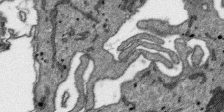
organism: Human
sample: Lung epithelial cells, uninfected (mock) control